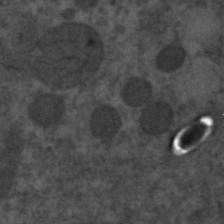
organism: C. elegans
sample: C. elegans embryo